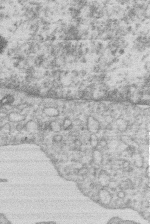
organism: Human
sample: Macrophage cells